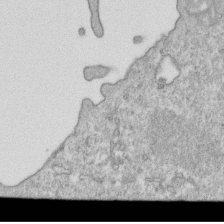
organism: Mouse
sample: Activated OT-1 CD8+ T cells